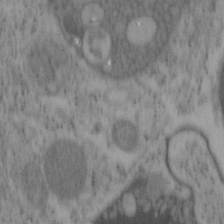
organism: Mouse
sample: OT-I killer T cells with ID8 ovarian cancer cells